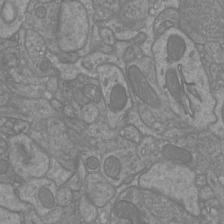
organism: Mouse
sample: Cortical neurons